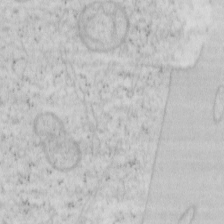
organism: Human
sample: HeLa cells